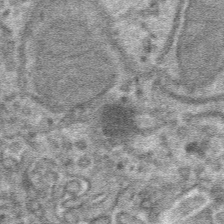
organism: Mouse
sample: Mouse hepatocytes